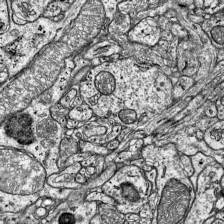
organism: Mouse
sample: Visual Cortex